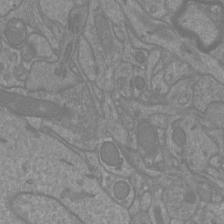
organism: Mouse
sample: Cortical neurons